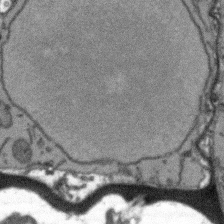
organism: Arabidopsis thaliana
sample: Root tip